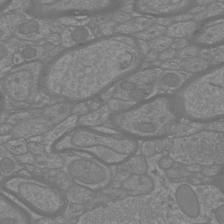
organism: Mouse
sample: Cortical neurons